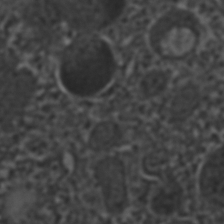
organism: C. elegans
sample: C. elegans embryo